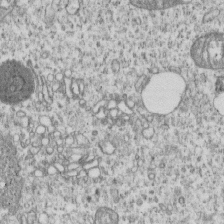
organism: Human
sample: MDA-MB-231 cells